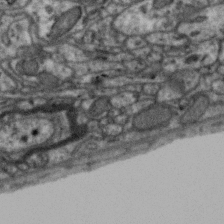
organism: Zebra finch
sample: Brain